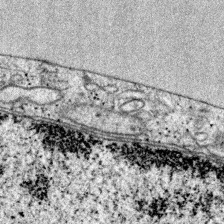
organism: Human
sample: HeLa cells